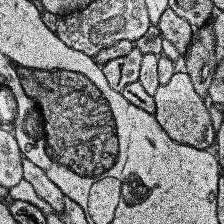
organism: Human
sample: Temporal Lobe